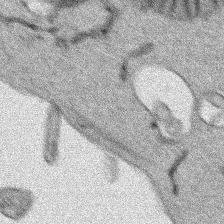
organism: Human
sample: Mitochondria in HCT116 cells